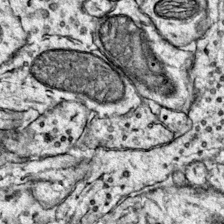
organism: Mouse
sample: Primary visual cortex